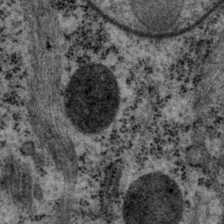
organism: P. pacificus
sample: Pharynx